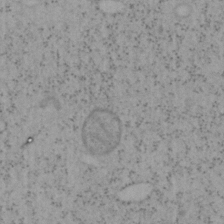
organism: Mouse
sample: OT-I killer T cells with ID8 ovarian cancer cells